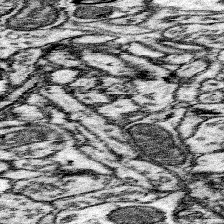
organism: Mouse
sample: Somatosensory cortex neuropil